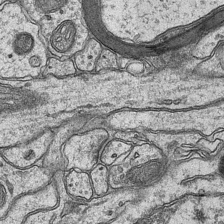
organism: Mouse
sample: CA1 Hippocampus